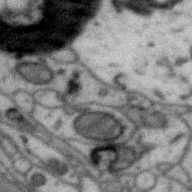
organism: Zebra finch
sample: Brain